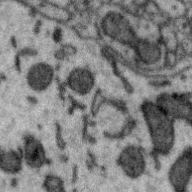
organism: Zebra finch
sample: Brain